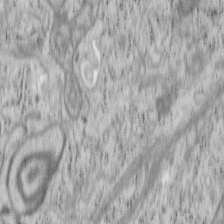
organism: Human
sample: HeLa cells